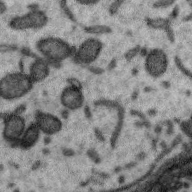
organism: Zebra finch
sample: Brain